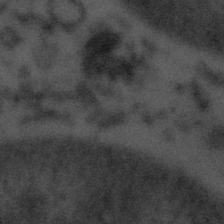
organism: Tuwongella immobilis